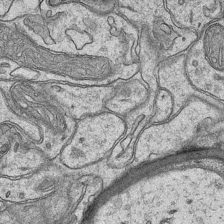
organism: Mouse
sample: CA1 Hippocampus